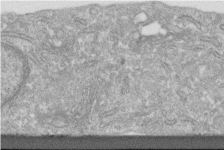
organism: Human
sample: Centriole in fibroblast cells